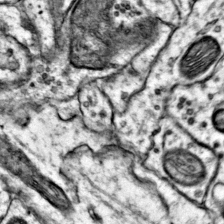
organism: Mouse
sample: Primary visual cortex